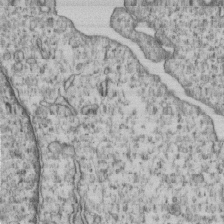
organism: Human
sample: MDA-MB-231 cells